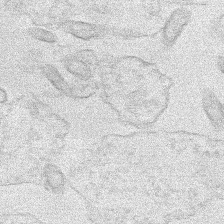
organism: Human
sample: Mitochondria in HCT116 cells